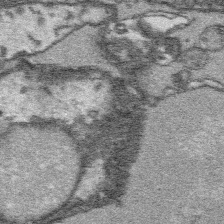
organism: Platynereis dumerilii